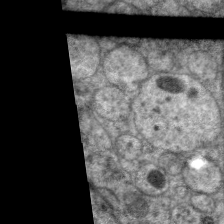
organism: C. elegans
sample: Pharynx